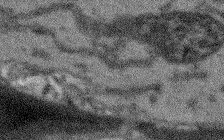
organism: Arabidopsis thaliana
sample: Root tip